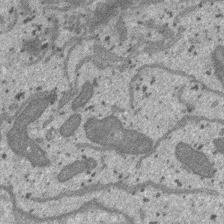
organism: Human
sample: Lung epithelial cells infected with SARS-CoV-2